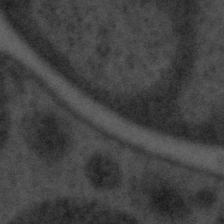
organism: Tuwongella immobilis